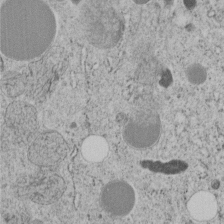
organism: C. elegans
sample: C. elegans embryo early stage